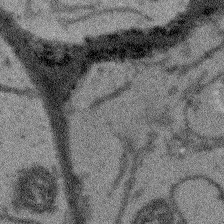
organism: Arabidopsis thaliana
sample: Root tip